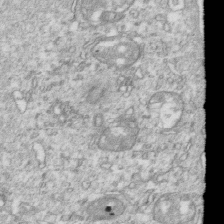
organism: Mouse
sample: Activated OT-1 CD8+ T cells